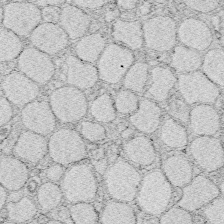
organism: Zebrafish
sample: Whole-Brain